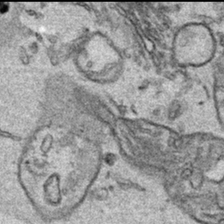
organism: Human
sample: Mitochondria in HCT116 cells